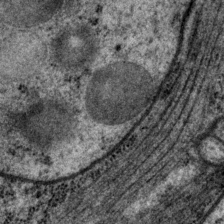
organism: P. pacificus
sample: Pharynx